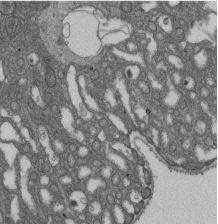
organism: Drosophila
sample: Nephrocyte